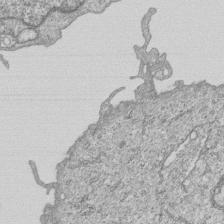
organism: Human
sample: MDA-MB-231 cells